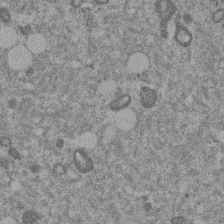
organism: Mouse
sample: Dividing mouse embryo 1 cell stage